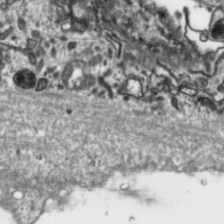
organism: Toxoplasma gondii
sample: Parasites in a vacuole inside a host cell